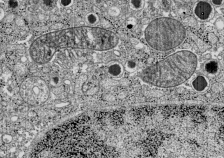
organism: C57BL Mouse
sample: Pancreatic islet